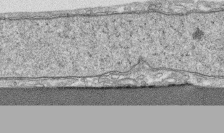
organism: Human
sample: CRL-1474